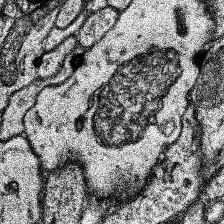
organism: Human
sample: Temporal Lobe